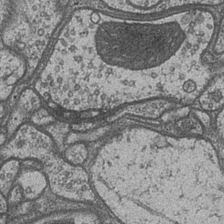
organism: Drosophila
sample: Optic medulla